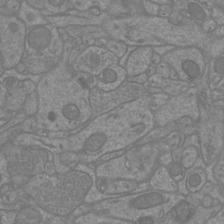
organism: Mouse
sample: Cortical neurons